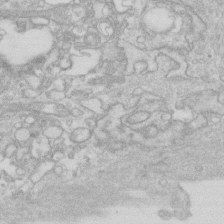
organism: Human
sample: Fibroblast cells